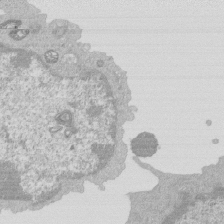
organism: Mouse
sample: Activated Pmel transgenic CD8+ T Cells